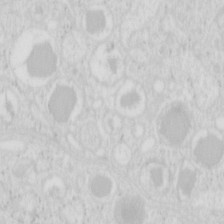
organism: Mouse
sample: Pancreas